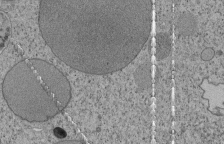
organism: Tetrahymena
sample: Cilia in tetrahymena